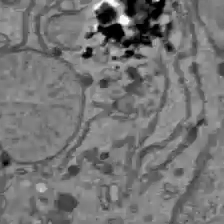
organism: C57BL Mouse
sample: Liver